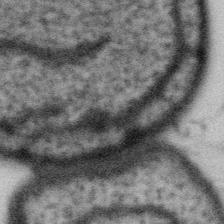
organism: Gemmata obscuriglobus